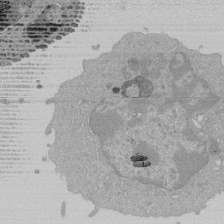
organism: Mouse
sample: Activated Pmel transgenic CD8+ T Cells